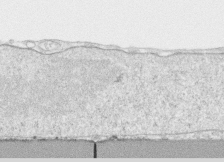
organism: Human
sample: CRL-1474